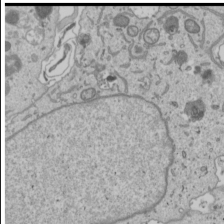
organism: Human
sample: Mitochondria in U2OS cells